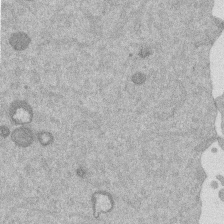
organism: Mouse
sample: Dividing mouse embryo 1 cell stage